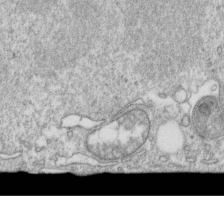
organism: Mouse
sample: Activated OT-1 CD8+ T cells